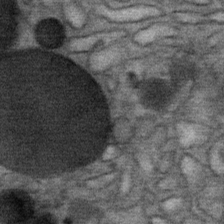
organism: Mouse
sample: Mouse Salivary gland